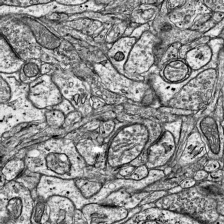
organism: Mouse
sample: Visual Cortex